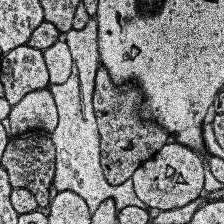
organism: Human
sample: Temporal Lobe